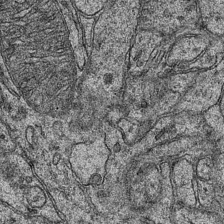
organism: Mouse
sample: CA1 Hippocampus